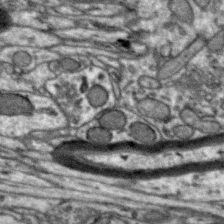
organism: Zebra finch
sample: Brain